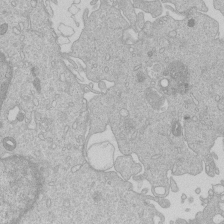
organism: Human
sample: Macrophage cells